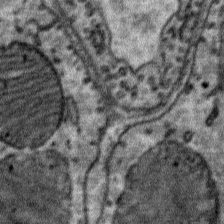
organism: Mouse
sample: Mouse Salivary gland